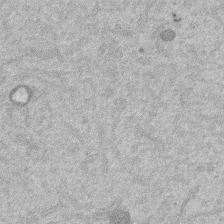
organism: Mouse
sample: Dividing mouse embryo 1 cell stage